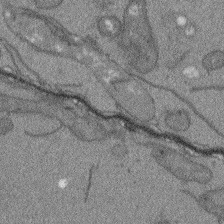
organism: Arabidopsis thaliana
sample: Root tip